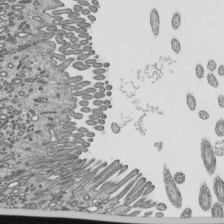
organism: Mouse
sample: Mouse epididymis efferent ductule cilia